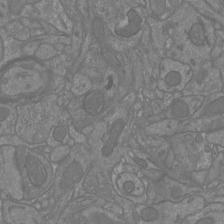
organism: Mouse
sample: Cortical neurons